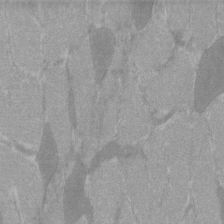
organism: C57BL Mouse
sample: Tibialis anterior muscle cell